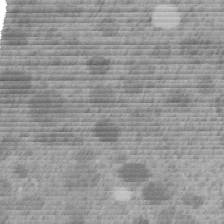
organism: C. elegans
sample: C. elegans embryo early stage